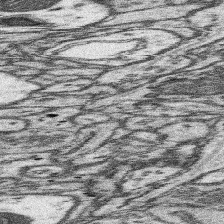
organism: Mouse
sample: Somatosensory cortex neuropil